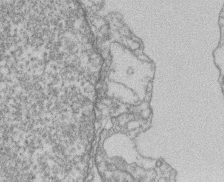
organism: Mouse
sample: T cell stromal cell synapse